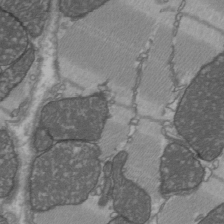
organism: C57BL Mouse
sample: Heart